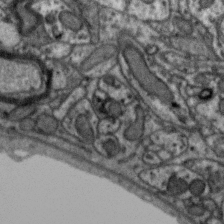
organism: Zebra finch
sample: Brain